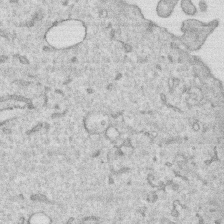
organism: Human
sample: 1205lu cells